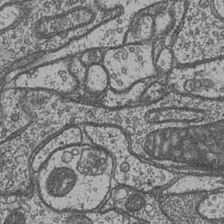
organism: Drosophila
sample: Optic medulla